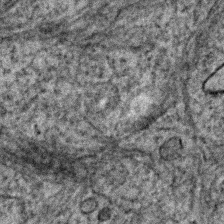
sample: Trachea